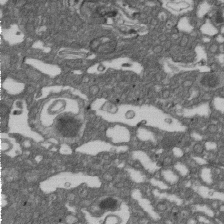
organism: Drosophila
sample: Nephrocyte